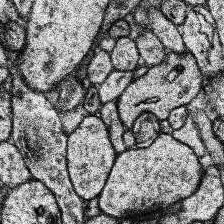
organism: Human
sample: Temporal Lobe